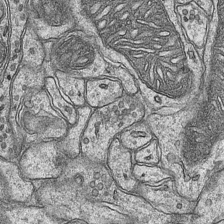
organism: Mouse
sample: CA1 Hippocampus